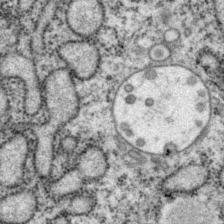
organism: P. pacificus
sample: Pharynx